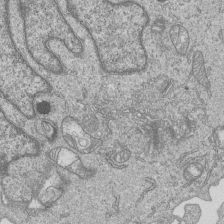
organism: Human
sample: MDA-MB-231 cells